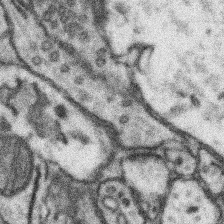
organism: Mouse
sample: Somatosensory cortex neuropil